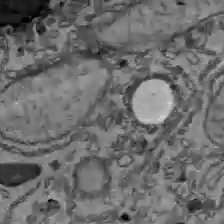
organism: C57BL Mouse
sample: Liver